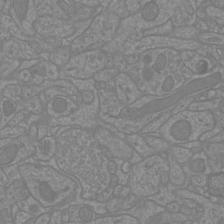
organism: Mouse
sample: Cortical neurons